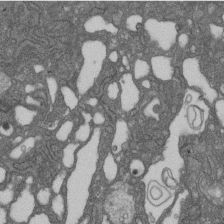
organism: Drosophila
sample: Nephrocyte